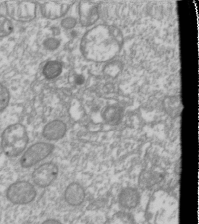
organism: Drosophila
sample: Cell division; meiosis; drosophila spermatocytes